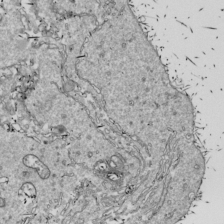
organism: Drosophila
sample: Cell division; meiosis; drosophila spermatocytes